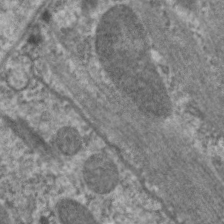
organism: C. elegans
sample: Pharynx